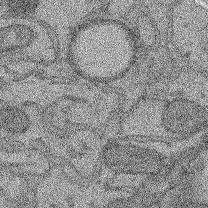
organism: Human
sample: HeLa cells